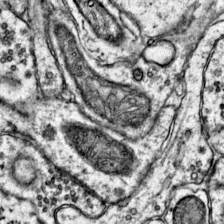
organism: Mouse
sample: Primary visual cortex